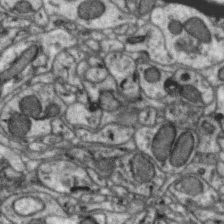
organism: Zebra finch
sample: Brain